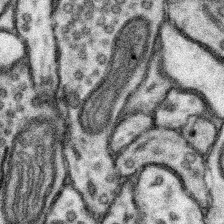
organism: Mouse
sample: Somatosensory cortex neuropil